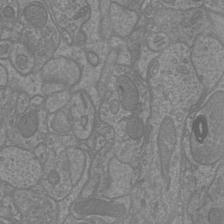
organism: Mouse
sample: Cortical neurons